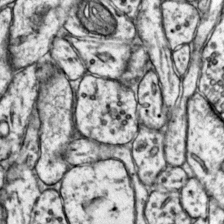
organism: Mouse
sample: Primary visual cortex